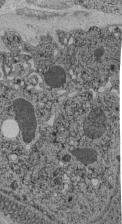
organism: C. elegans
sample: C. elegans pharynx